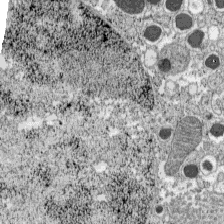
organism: C57BL Mouse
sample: Pancreatic islet